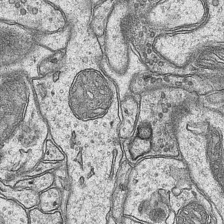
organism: Mouse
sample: CA1 Hippocampus